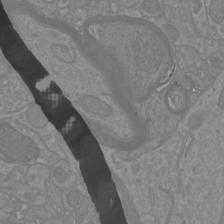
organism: Mouse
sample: Cortical neurons